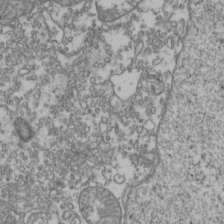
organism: Human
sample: Activated Jurkat CD4+ T cells